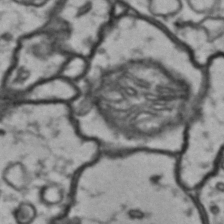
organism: Drosophila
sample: Brain